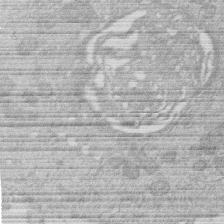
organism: Human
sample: Macrophage cells